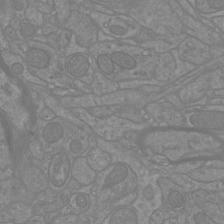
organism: Mouse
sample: Cortical neurons